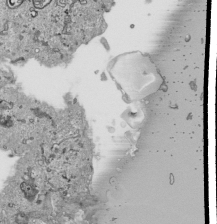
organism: Human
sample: Mitochondria in HCT116 cells